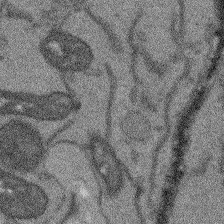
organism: Arabidopsis thaliana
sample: Root tip